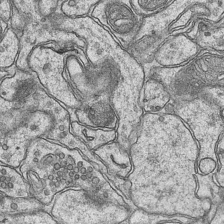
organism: Mouse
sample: CA1 Hippocampus